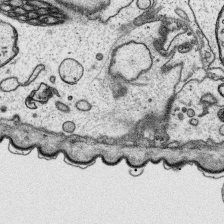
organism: Platynereis dumerilii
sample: Parapodia